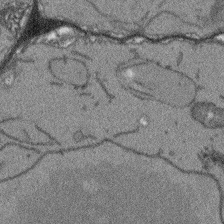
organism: Arabidopsis thaliana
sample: Root tip